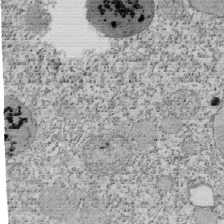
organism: Tetrahymena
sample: Cilia in tetrahymena